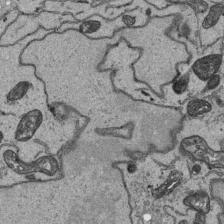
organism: Human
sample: Mitochondria in HCT116 cells